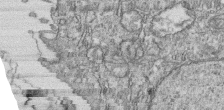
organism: Human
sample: HeLa cell HIV synapse